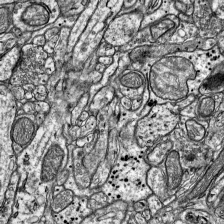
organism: Mouse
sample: Visual Cortex